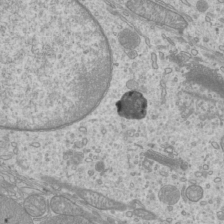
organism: Mouse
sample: Cilia; mouse epididymis